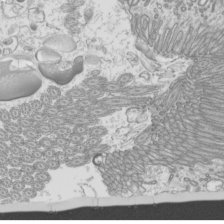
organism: Mouse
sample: Cilia; mouse epididymis